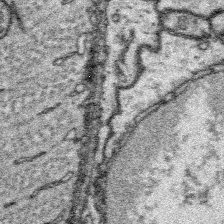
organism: Platynereis dumerilii